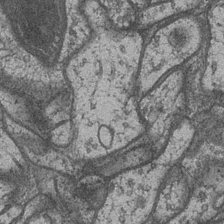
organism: Drosophila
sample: Optic medulla